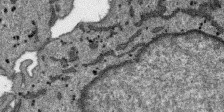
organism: Human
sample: Lung epithelial cells, uninfected (mock) control